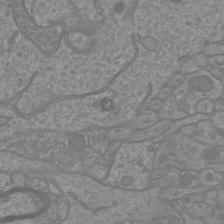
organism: Mouse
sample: Cortical neurons